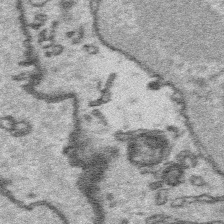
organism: Platynereis dumerilii